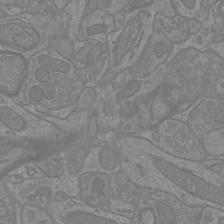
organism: Mouse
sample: Cortical neurons